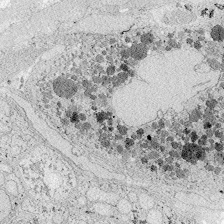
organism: Zebrafish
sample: Whole-Brain